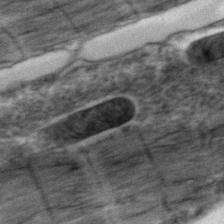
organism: Zebrafish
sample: Zebrafish embryo